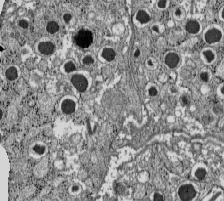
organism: C57BL Mouse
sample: Pancreatic islet